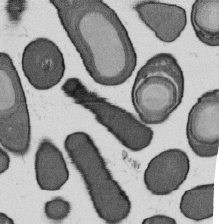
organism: B. subtilis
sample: Bacterial spore